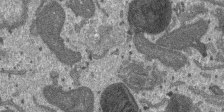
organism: Human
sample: Lung epithelial cells infected with SARS-CoV-2